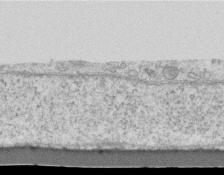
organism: Mouse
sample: Centriole in ependymal cells